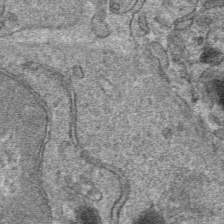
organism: Mouse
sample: Mouse hepatocytes